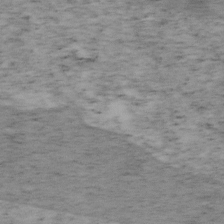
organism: Mouse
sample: OT-I killer T cells with ID8 ovarian cancer cells